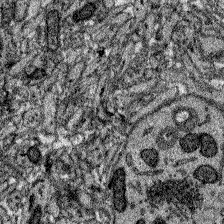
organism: Zebrafish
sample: Larval olfactory bulb